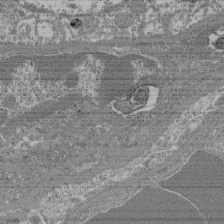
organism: Mouse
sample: Glomerulus